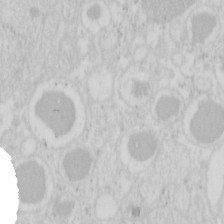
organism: Mouse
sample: Pancreas